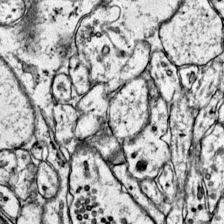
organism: Mouse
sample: Primary visual cortex